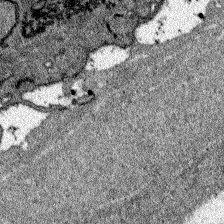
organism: Zebrafish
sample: Larval olfactory bulb